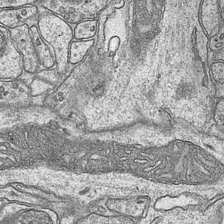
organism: Mouse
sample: CA1 Hippocampus